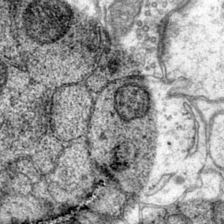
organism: Mouse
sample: Primary visual cortex